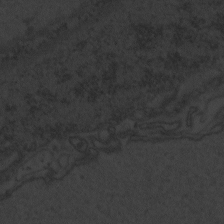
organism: Zebrafish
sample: Macrophage infected with Toxoplasma gondii